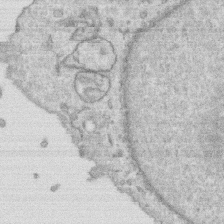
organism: Human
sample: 1205lu cells